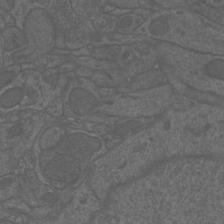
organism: Mouse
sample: Cortical neurons